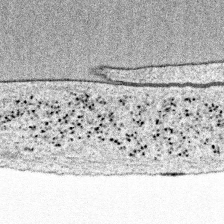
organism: Human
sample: HeLa cells